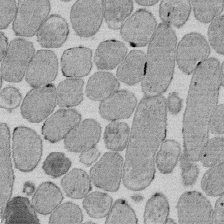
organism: E. coli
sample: Bacterial nucleoid